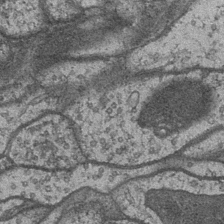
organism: Drosophila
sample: Optic medulla